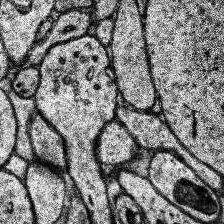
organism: Human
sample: Temporal Lobe